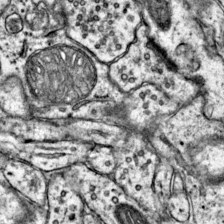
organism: Mouse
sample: Primary visual cortex